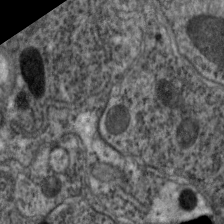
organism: C. elegans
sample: Pharynx